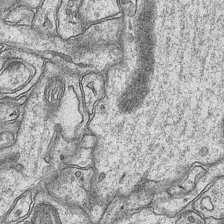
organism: Mouse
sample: CA1 Hippocampus